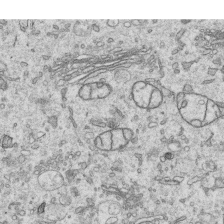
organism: Human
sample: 1205lu cells